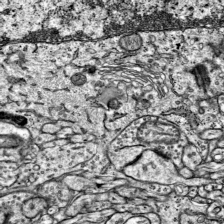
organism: Mouse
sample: Visual Cortex